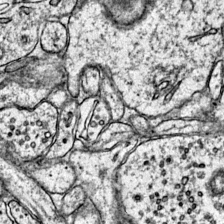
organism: Mouse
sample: Primary visual cortex